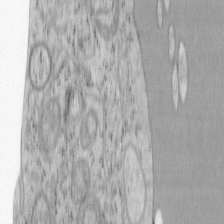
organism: Human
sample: HeLa cells